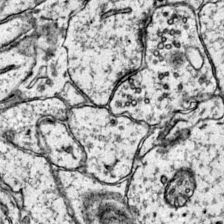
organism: Mouse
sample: Primary visual cortex